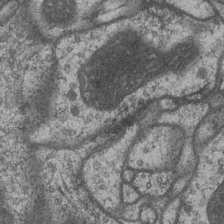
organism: Drosophila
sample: Optic medulla